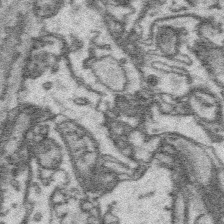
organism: Platynereis dumerilii